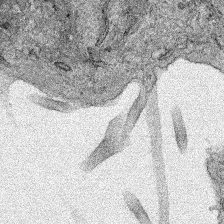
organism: Human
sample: Mitochondria in HCT116 cells